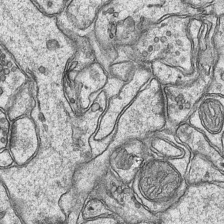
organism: Mouse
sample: CA1 Hippocampus